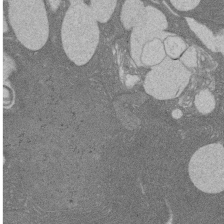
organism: Rat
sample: Salivary granule